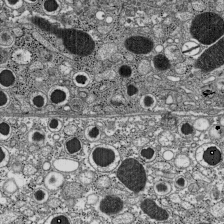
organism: C57BL Mouse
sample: Pancreatic islet